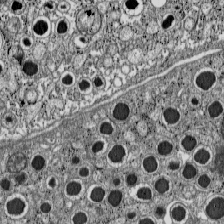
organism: C57BL Mouse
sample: Pancreatic islet